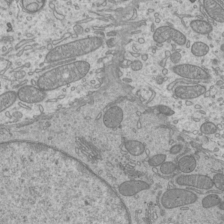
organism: Mouse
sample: Cilia; mouse epididymis